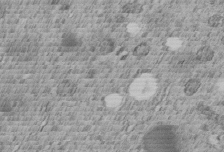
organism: C. elegans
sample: C. elegans embryo early stage